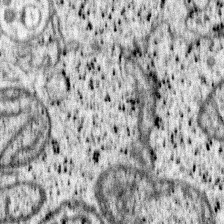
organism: Human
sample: HeLa cells